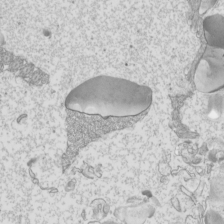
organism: Mouse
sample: Cilia; mouse epididymis